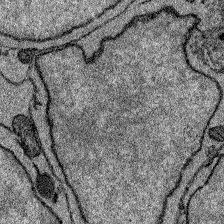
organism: Zebrafish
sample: Larval olfactory bulb